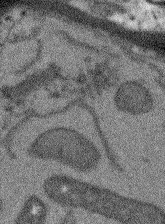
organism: Arabidopsis thaliana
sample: Root tip